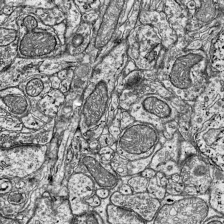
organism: Mouse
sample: Visual Cortex